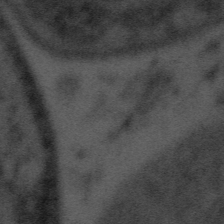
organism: Tuwongella immobilis